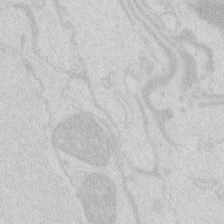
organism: Zebrafish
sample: Macrophage